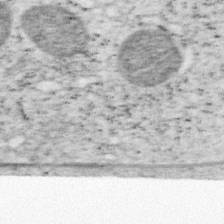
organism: Mouse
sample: OT-I killer T cells with ID8 ovarian cancer cells